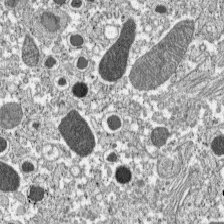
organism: C57BL Mouse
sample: Pancreatic islet